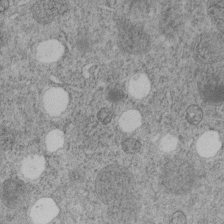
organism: C. elegans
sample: C. elegans embryo early stage